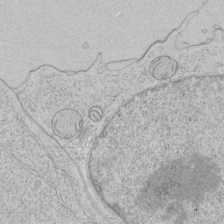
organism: Human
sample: Mitochondria in HCT116 cells